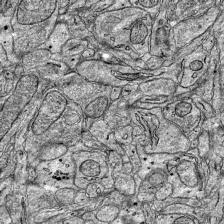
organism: Mouse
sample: Visual Cortex